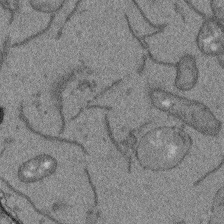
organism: Arabidopsis thaliana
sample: Root tip